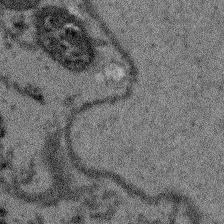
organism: Arabidopsis thaliana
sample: Root tip